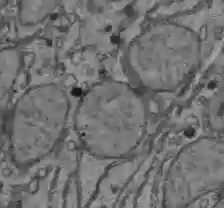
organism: C57BL Mouse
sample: Liver